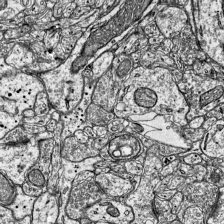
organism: Mouse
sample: Visual Cortex